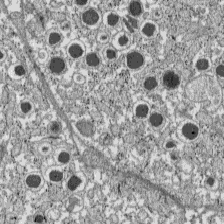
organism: C57BL Mouse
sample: Pancreatic islet